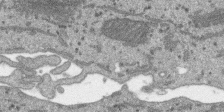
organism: Human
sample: Lung epithelial cells infected with SARS-CoV-2